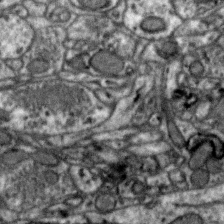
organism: Zebra finch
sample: Brain